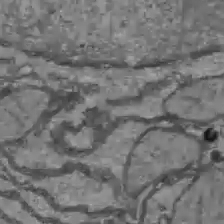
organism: C57BL Mouse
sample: Liver